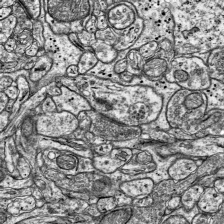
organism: Mouse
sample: Visual Cortex